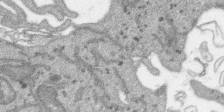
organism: Human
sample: Lung epithelial cells infected with SARS-CoV-2